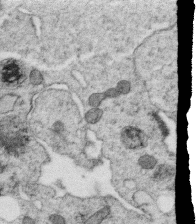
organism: C. elegans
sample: C. elegans oocyte; sperm cells